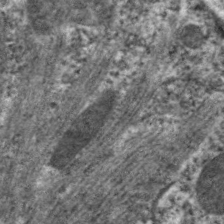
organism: C. elegans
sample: Pharynx